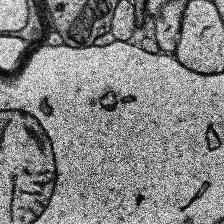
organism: Human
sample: Temporal Lobe